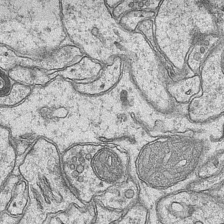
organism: Mouse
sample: CA1 Hippocampus